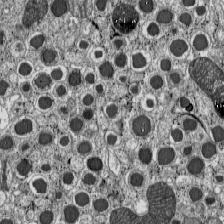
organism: C57BL Mouse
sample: Pancreatic islet